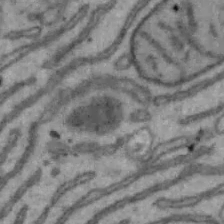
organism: Mouse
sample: Liver